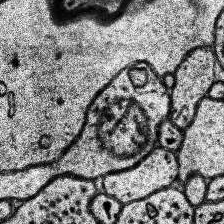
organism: Human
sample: Temporal Lobe